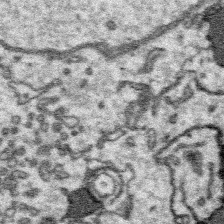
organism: Platynereis dumerilii